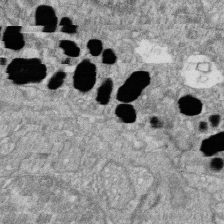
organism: Zebrafish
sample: Cilia; retinal pigment epithelium